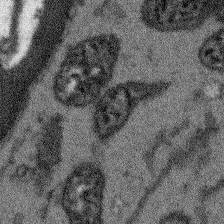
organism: Arabidopsis thaliana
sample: Root tip